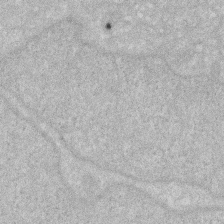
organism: Human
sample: HIV infected U937 cells